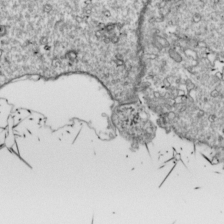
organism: Drosophila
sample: Cell division; meiosis; drosophila spermatocytes